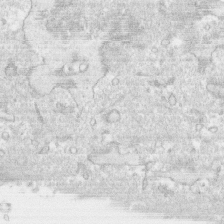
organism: Human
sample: CRL-1474